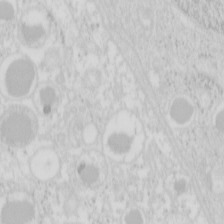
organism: Mouse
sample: Pancreas